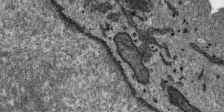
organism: Human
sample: Lung epithelial cells, uninfected (mock) control